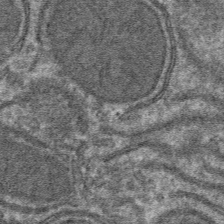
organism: Mouse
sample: Mouse hepatocytes